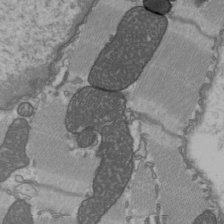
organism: C57BL Mouse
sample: Heart